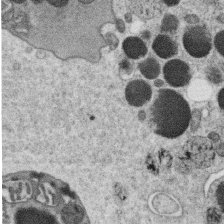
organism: C. elegans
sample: C. elegans oocyte; sperm cells